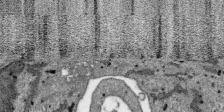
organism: Human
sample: Lung epithelial cells, uninfected (mock) control